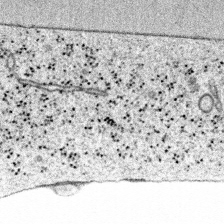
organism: Human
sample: HeLa cells